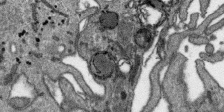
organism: Human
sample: Lung epithelial cells, uninfected (mock) control